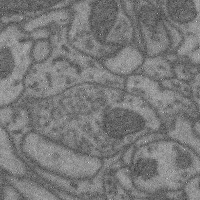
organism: Mouse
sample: Cerebral cortex